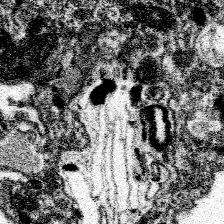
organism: Spongilla lacustris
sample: Neuroid cell